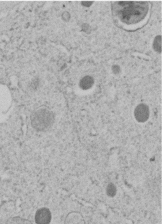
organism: C. elegans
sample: C. elegans embryo early stage